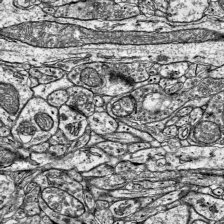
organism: Mouse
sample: Visual Cortex